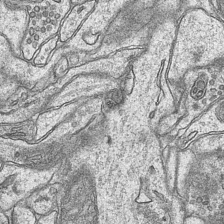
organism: Mouse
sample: CA1 Hippocampus